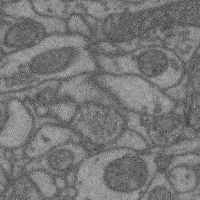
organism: Mouse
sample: Cerebral cortex